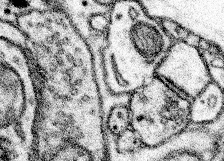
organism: Mouse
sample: Somatosensory cortex neuropil